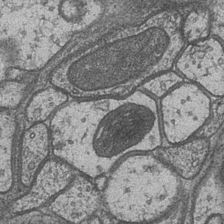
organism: Drosophila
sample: Optic medulla